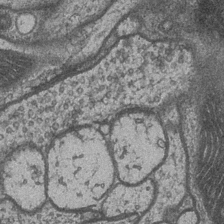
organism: Drosophila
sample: Optic medulla